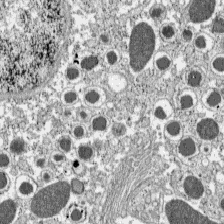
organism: C57BL Mouse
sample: Pancreatic islet